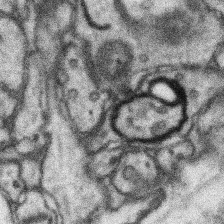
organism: Mouse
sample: Somatosensory cortex neuropil